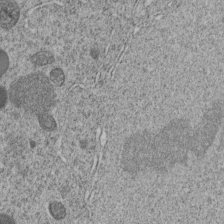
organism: C. elegans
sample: C. elegans embryo early stage